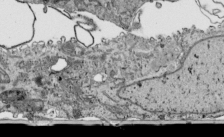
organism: Human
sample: Mitochondria in HCT116 cells